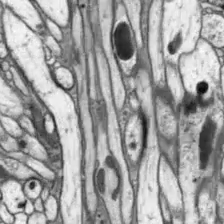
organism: Drosophila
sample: Optic lobe